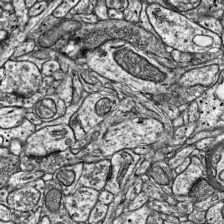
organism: Mouse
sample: Visual Cortex